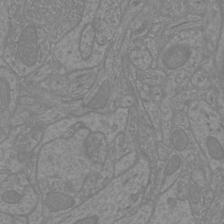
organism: Mouse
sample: Cortical neurons